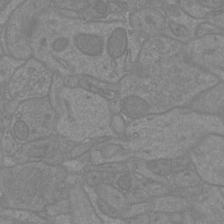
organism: Mouse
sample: Cortical neurons